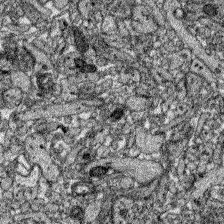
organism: Zebrafish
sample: Larval olfactory bulb